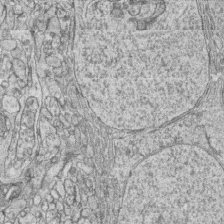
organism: Zebrafish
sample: synaptic ribbons in rod cells and cone cells